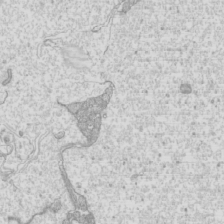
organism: Mouse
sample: Cilia; mouse epididymis